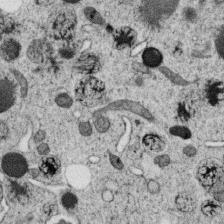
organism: C. elegans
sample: C. elegans oocyte; sperm cells